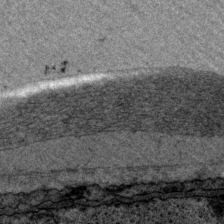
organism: P. pacificus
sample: Pharynx